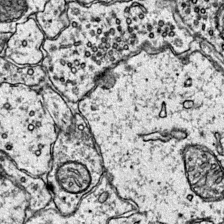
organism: Mouse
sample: Primary visual cortex